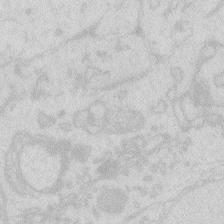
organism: Zebrafish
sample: Macrophage